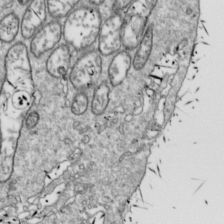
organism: Drosophila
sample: Cell division; meiosis; drosophila spermatocytes